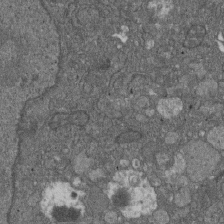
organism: Drosophila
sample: Nephrocyte